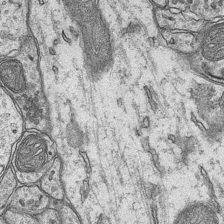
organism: Mouse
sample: CA1 Hippocampus